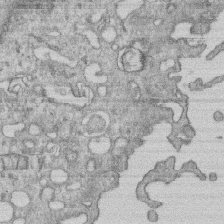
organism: Human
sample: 1205lu cells